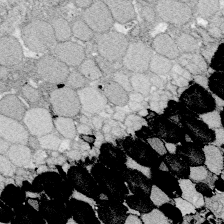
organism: Zebrafish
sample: Whole-Brain